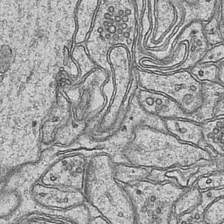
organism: Mouse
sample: CA1 Hippocampus